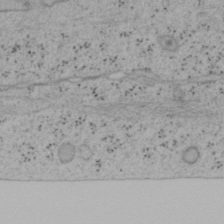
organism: Human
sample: HeLa cells